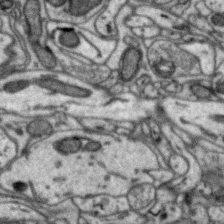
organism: Zebra finch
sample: Brain